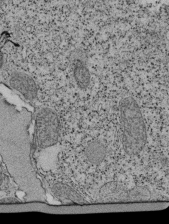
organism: Tetrahymena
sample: Cilia in tetrahymena